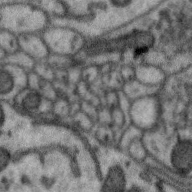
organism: Zebra finch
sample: Brain